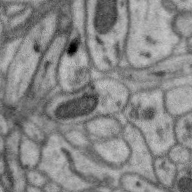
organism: Zebra finch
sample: Brain